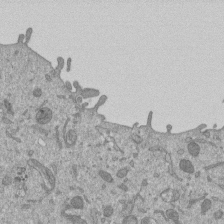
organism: Mouse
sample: ED-1 cell nuclei; centrioles